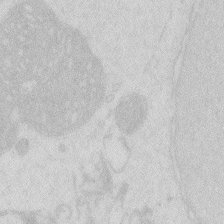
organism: Zebrafish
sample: Macrophage